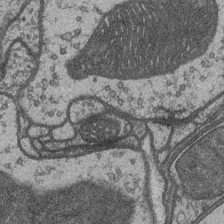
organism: Drosophila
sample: Optic medulla